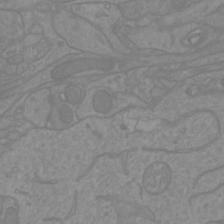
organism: Mouse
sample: Cortical neurons